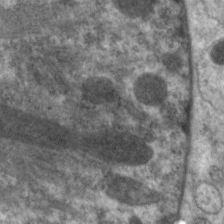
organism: C. elegans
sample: Pharynx